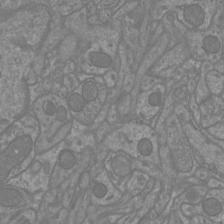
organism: Mouse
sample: Cortical neurons